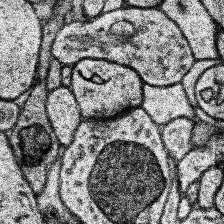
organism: Human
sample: Temporal Lobe